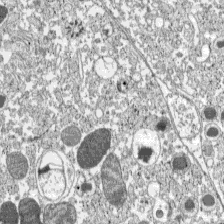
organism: C57BL Mouse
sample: Pancreatic islet